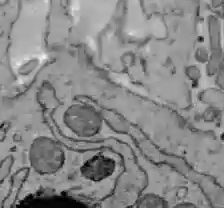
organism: C57BL Mouse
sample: Liver